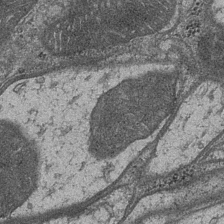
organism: Drosophila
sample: Optic medulla